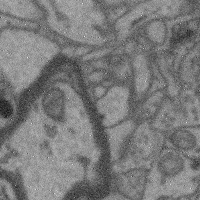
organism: Mouse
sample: Cerebral cortex